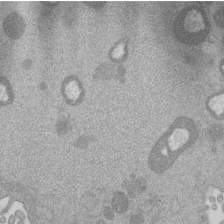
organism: Mouse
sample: Dividing mouse embryo 1 cell stage